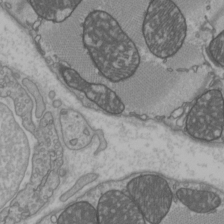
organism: C57BL Mouse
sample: Heart